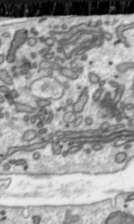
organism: Toxoplasma gondii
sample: Parasites in a vacuole inside a host cell